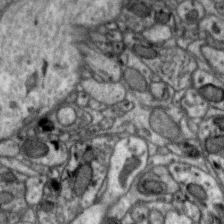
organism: Zebra finch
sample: Brain